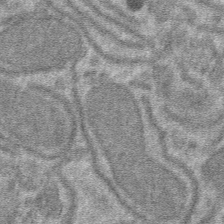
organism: Mouse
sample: Mouse hepatocytes